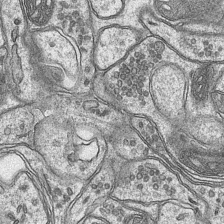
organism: Mouse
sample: CA1 Hippocampus